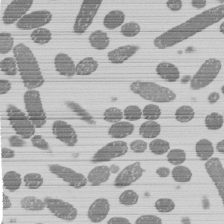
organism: E. coli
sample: Bacterial nucleoid